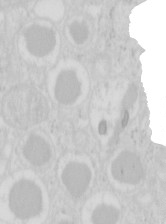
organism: Mouse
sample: Pancreas